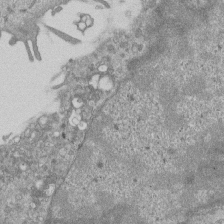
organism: Mouse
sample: ED-1 cell nuclei; centrioles